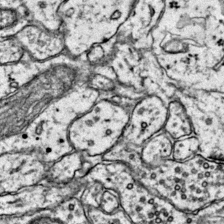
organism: Mouse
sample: Primary visual cortex